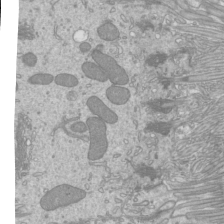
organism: Mouse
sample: Cilia; mouse epididymis